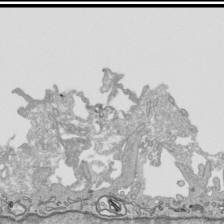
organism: Human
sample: Mitochondria in HCT116 cells